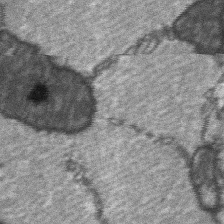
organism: C57BL Mouse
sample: Soleus